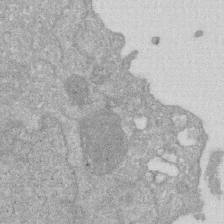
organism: Human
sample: HIV infected U937 cells